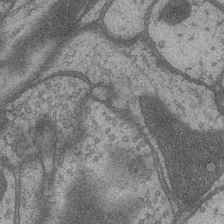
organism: Drosophila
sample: Optic medulla